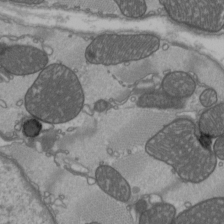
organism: C57BL Mouse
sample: Heart